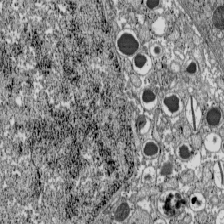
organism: C57BL Mouse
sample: Pancreatic islet